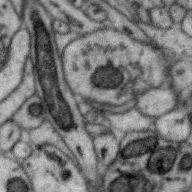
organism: Zebra finch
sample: Brain